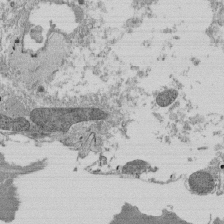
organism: Tetrahymena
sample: Cilia in tetrahymena